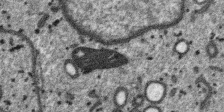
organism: Human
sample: Lung epithelial cells infected with SARS-CoV-2